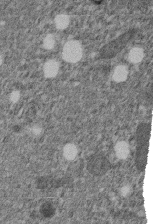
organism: C. elegans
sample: C. elegans embryo early stage